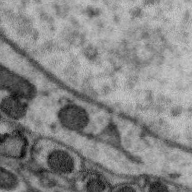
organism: Zebra finch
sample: Brain